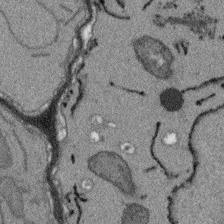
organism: Arabidopsis thaliana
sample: Root tip